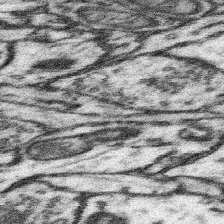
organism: Mouse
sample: Somatosensory cortex neuropil